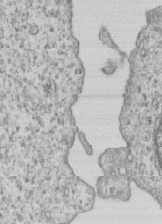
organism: Human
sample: MDA-MB-231 cells